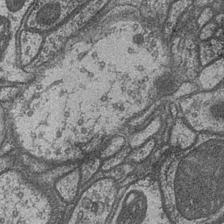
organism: Drosophila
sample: Optic medulla